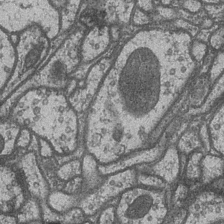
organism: Drosophila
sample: Optic medulla